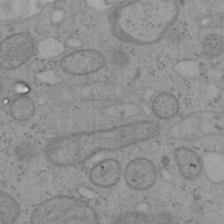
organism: Mouse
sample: OT-I killer T cells with ID8 ovarian cancer cells